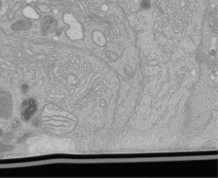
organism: Human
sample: Retinal organoid Rod and Cone cells